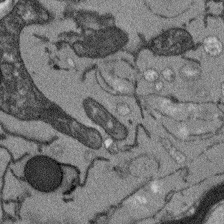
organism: Arabidopsis thaliana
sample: Root tip